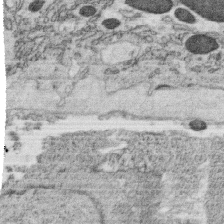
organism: C. elegans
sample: C. elegans oocyte; sperm cells